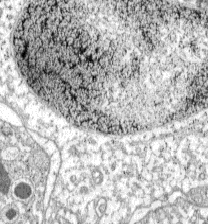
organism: C57BL Mouse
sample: Pancreatic islet